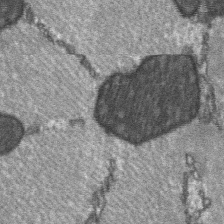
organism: C57BL Mouse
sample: Soleus